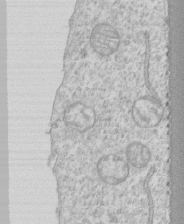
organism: Human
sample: CRL-1474